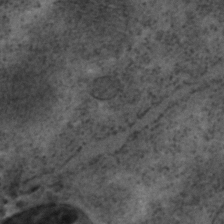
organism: C. elegans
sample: C. elegans embryo